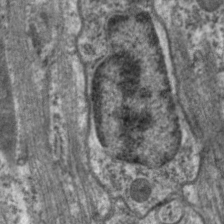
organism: C. elegans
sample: Pharynx